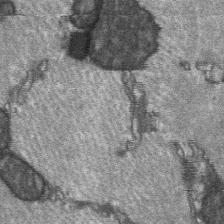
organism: C57BL Mouse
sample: Soleus